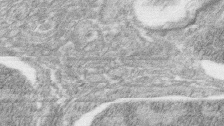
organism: Zebrafish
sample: synaptic ribbons in rod cells and cone cells